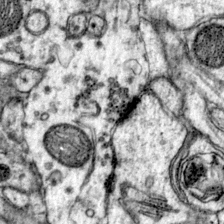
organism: Mouse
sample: Primary visual cortex